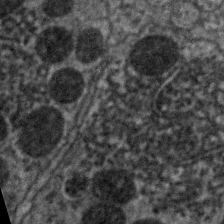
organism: C. elegans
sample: Pharynx